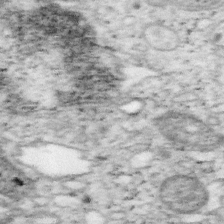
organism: Mouse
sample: OT-I killer T cells with ID8 ovarian cancer cells